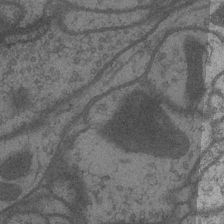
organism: Drosophila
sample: Optic medulla